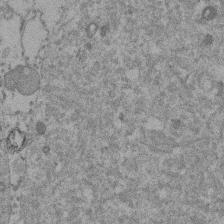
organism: Mouse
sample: Dividing mouse embryo 1 cell stage